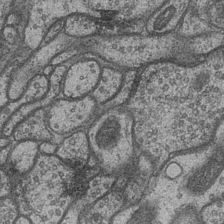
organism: Drosophila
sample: Optic medulla